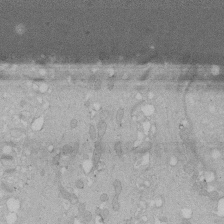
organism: Human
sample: Melanocyte Keratinocyte synapse skin construct